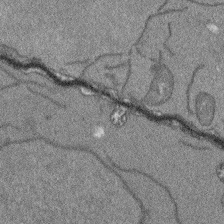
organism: Arabidopsis thaliana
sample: Root tip